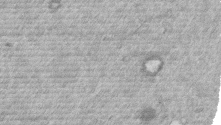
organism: Mouse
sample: Dividing mouse embryo 1 cell stage